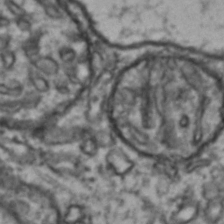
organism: Drosophila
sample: Brain